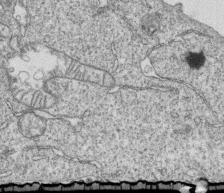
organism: Human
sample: HeLa cell HIV synapse